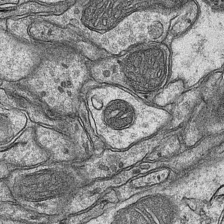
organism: Mouse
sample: CA1 Hippocampus